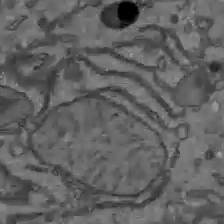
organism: C57BL Mouse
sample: Liver